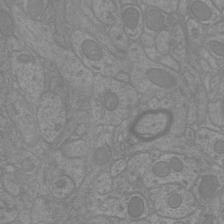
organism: Mouse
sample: Cortical neurons